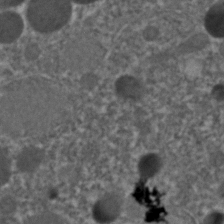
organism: C. elegans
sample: C. elegans embryo